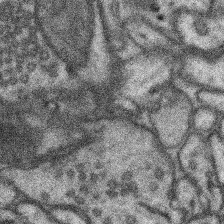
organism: Mouse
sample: Somatosensory cortex neuropil